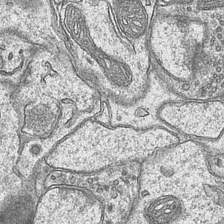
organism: Mouse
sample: CA1 Hippocampus